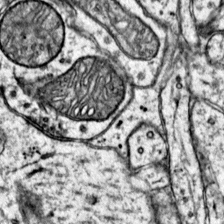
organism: Mouse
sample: Primary visual cortex